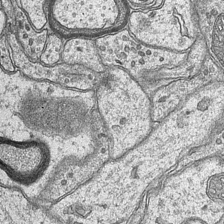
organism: Mouse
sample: CA1 Hippocampus